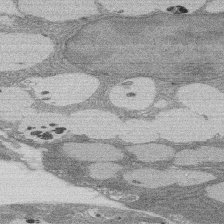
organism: Rat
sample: Salivary granule